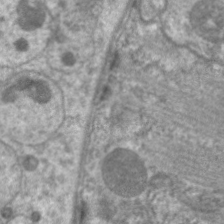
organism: C. elegans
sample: Pharynx